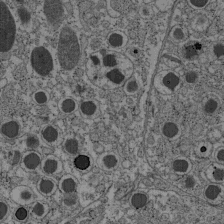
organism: C57BL Mouse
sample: Pancreatic islet